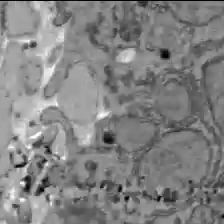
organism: C57BL Mouse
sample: Liver